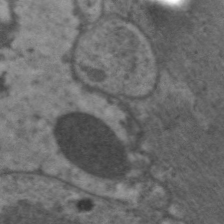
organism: C. elegans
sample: Pharynx